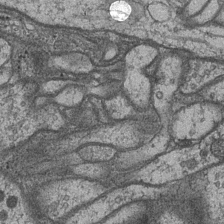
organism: Drosophila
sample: Optic medulla